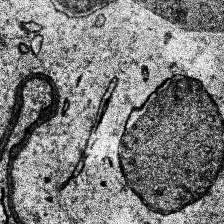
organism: Human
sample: Temporal Lobe